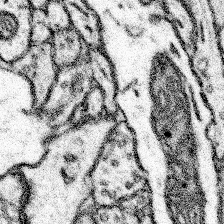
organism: Mouse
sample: Somatosensory cortex neuropil